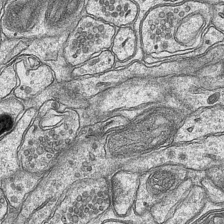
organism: Mouse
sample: CA1 Hippocampus